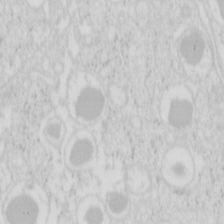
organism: Mouse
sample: Pancreas